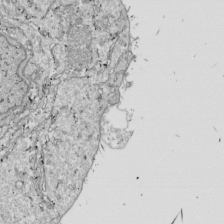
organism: Drosophila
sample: Cell division; meiosis; drosophila spermatocytes